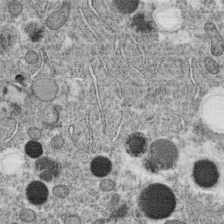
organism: C. elegans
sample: C. elegans oocyte; sperm cells